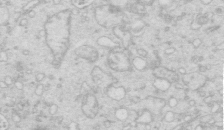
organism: Mouse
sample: Multiciliated cells